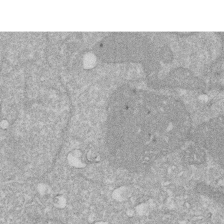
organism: Human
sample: HIV infected U937 cells